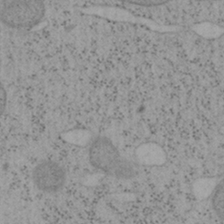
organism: Mouse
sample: OT-I killer T cells with ID8 ovarian cancer cells